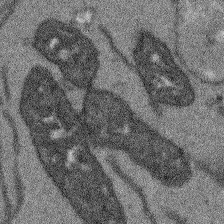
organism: Arabidopsis thaliana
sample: Root tip